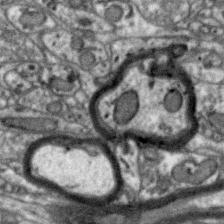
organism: Zebra finch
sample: Brain